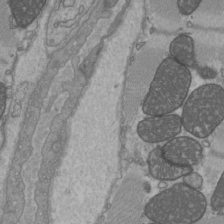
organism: C57BL Mouse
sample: Heart